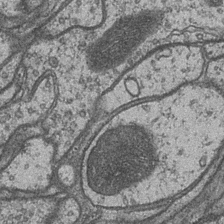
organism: Drosophila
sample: Optic medulla